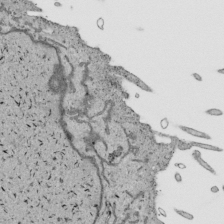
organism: Human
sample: Mitochondria in HCT116 cells